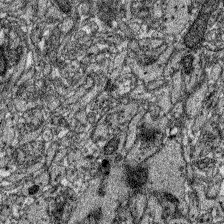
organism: Zebrafish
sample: Larval olfactory bulb